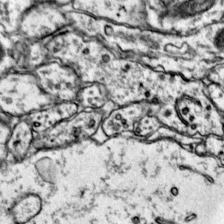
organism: Mouse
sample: Primary visual cortex